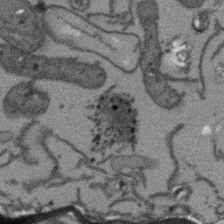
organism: Arabidopsis thaliana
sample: Root tip